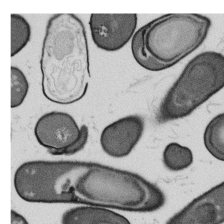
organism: B. subtilis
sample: Bacterial spore